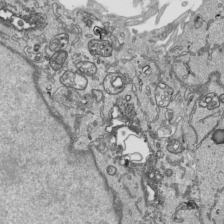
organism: Human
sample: Mitochondria in HCT116 cells